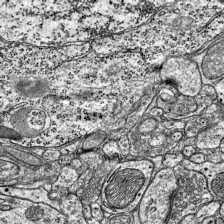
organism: Mouse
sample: Visual Cortex